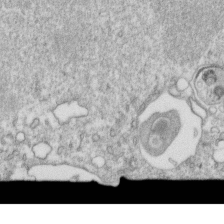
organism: Mouse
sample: Activated OT-1 CD8+ T cells